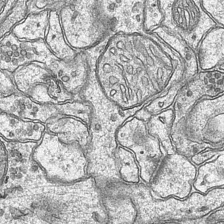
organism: Mouse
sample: CA1 Hippocampus